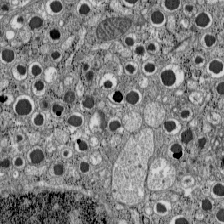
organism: C57BL Mouse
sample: Pancreatic islet